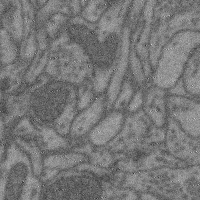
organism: Mouse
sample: Cerebral cortex